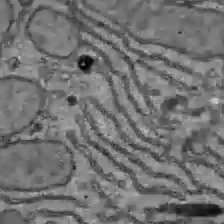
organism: C57BL Mouse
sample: Liver